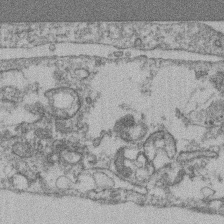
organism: Mouse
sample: T cell stromal cell synapse